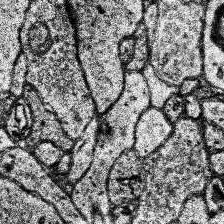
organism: Human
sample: Temporal Lobe